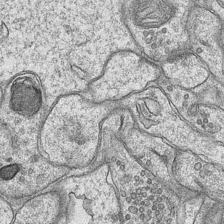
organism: Mouse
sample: CA1 Hippocampus